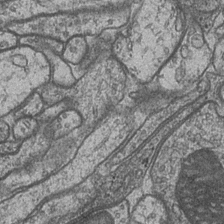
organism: Drosophila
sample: Optic medulla